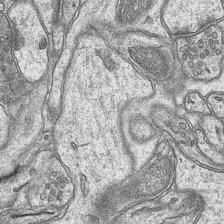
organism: Mouse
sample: CA1 Hippocampus